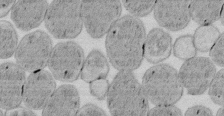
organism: E. coli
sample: Bacterial nucleoid